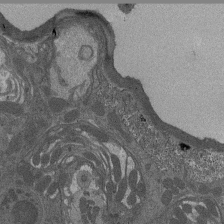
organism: Drosophila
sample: Antenna